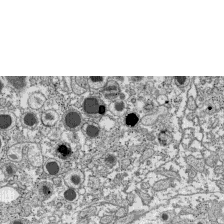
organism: C57BL Mouse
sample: Pancreatic islet